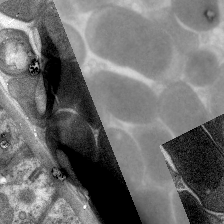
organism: C. elegans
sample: Pharynx